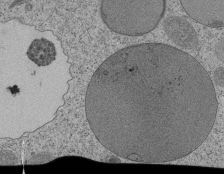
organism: Tetrahymena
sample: Cilia in tetrahymena